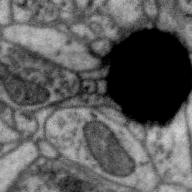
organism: Zebra finch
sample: Brain